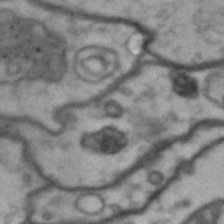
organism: Drosophila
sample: Brain